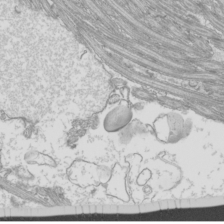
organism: Mouse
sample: Cilia; mouse epididymis